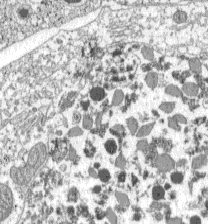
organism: C57BL Mouse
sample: Pancreatic islet